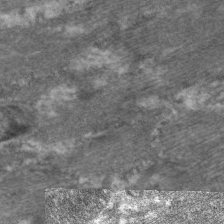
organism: C. elegans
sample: Pharynx